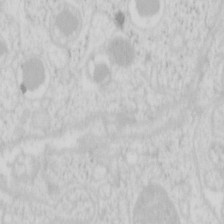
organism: Mouse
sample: Pancreas